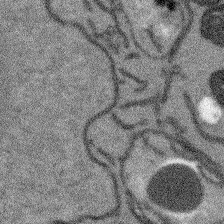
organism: Arabidopsis thaliana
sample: Root tip